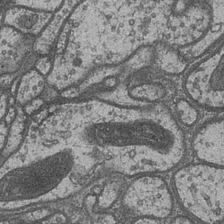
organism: Drosophila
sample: Optic medulla